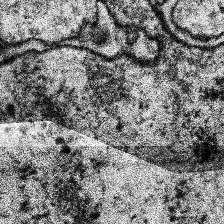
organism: Human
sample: Temporal Lobe